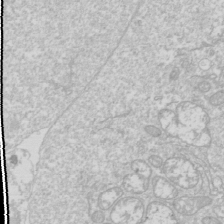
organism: Drosophila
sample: Cell division; meiosis; drosophila spermatocytes